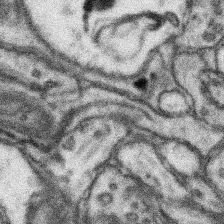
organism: Mouse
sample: Somatosensory cortex neuropil